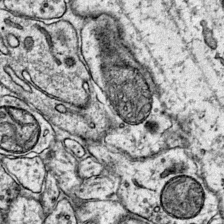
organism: Mouse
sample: Primary visual cortex